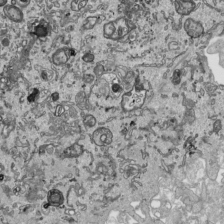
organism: Human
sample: Mitochondria in HCT116 cells